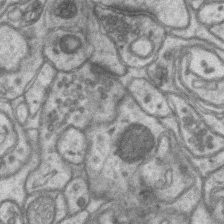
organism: Mouse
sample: CA1 Hippocampus